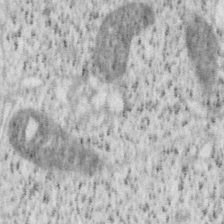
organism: Mouse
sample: OT-I killer T cells with ID8 ovarian cancer cells